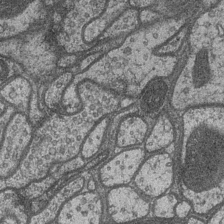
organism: Drosophila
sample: Optic medulla